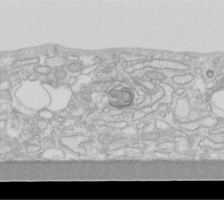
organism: Human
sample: Fibroblast cells